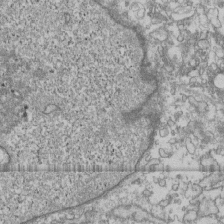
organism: Human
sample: Fibroblast cells